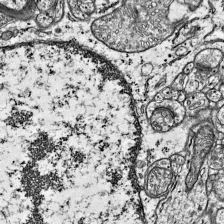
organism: Mouse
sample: Visual Cortex